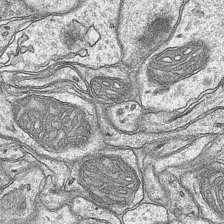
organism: Mouse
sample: CA1 Hippocampus